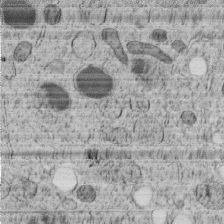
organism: C. elegans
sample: C. elegans embryo early stage